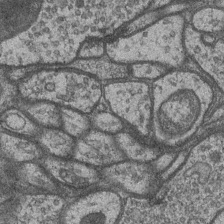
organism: Drosophila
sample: Optic medulla